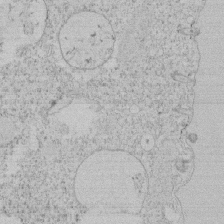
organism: Tetrahymena